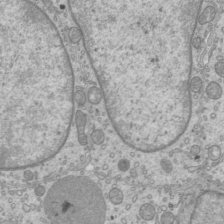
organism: Mouse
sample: Cilia; mouse epididymis